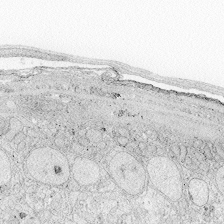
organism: Zebrafish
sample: Whole-Brain